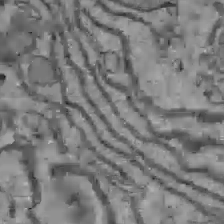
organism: C57BL Mouse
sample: Liver